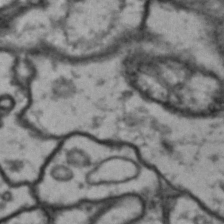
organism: Drosophila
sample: Brain